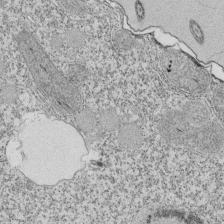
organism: Tetrahymena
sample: Cilia in tetrahymena